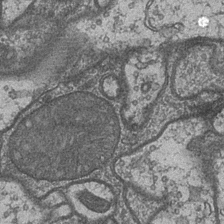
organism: Drosophila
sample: Optic medulla